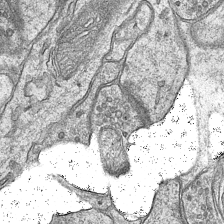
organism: Mouse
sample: CA1 Hippocampus